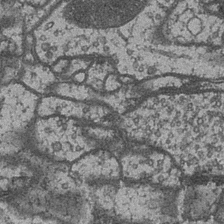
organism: Drosophila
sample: Optic medulla